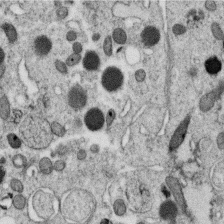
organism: C. elegans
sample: C. elegans oocyte; sperm cells